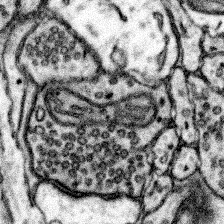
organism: Mouse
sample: Somatosensory cortex neuropil